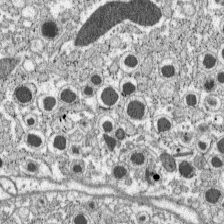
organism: C57BL Mouse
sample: Pancreatic islet